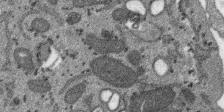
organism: Human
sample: Lung epithelial cells infected with SARS-CoV-2